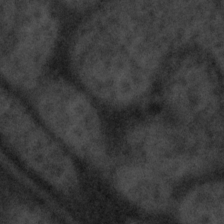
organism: Tuwongella immobilis